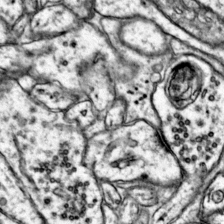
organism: Mouse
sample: Primary visual cortex